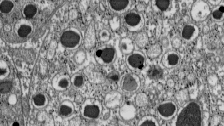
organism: C57BL Mouse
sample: Pancreatic islet